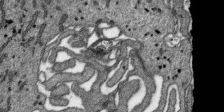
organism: Human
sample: Lung epithelial cells, uninfected (mock) control